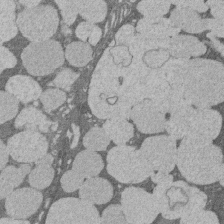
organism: Rat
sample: Salivary granule